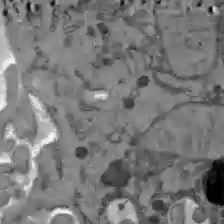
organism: C57BL Mouse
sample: Liver